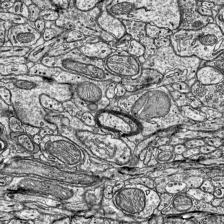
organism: Mouse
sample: Visual Cortex